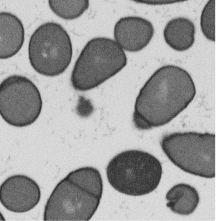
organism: B. subtilis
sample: Bacterial spore